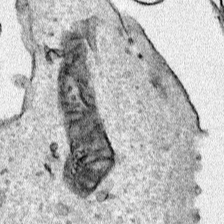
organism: Human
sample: Mitochondria in HCT116 cells